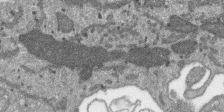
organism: Human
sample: Lung epithelial cells infected with SARS-CoV-2